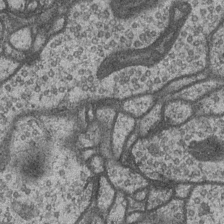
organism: Drosophila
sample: Optic medulla